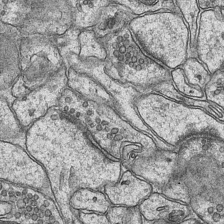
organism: Mouse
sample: CA1 Hippocampus